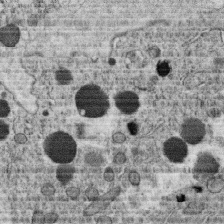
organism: C. elegans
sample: C. elegans oocyte; sperm cells